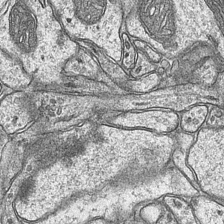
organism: Mouse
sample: CA1 Hippocampus